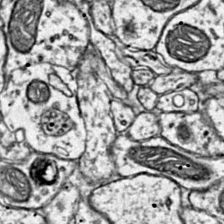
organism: Mouse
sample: Primary visual cortex